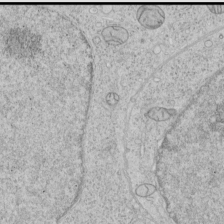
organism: Human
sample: Mitochondria in HCT116 cells